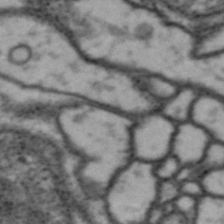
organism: Drosophila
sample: Brain